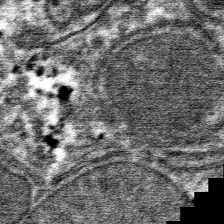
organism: Mouse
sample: Mouse hepatocytes